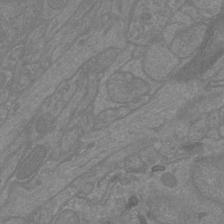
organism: Mouse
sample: Cortical neurons